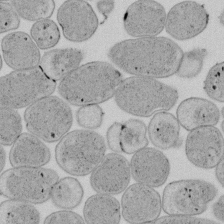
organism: E. coli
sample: Bacterial nucleoid